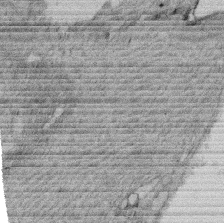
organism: Rat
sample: Salivary granule